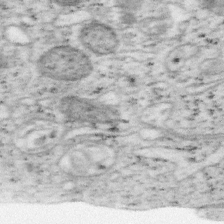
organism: Mouse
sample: OT-I killer T cells with ID8 ovarian cancer cells